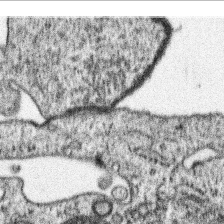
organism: Human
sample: HeLa cells